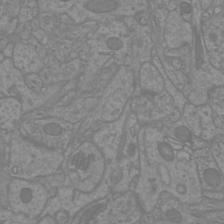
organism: Mouse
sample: Cortical neurons